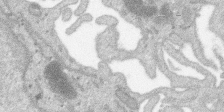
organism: Human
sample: Lung epithelial cells infected with SARS-CoV-2